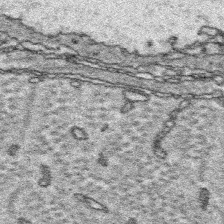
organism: Platynereis dumerilii